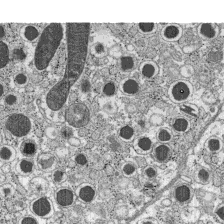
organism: C57BL Mouse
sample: Pancreatic islet